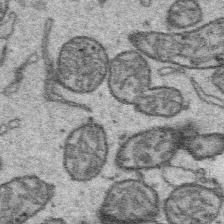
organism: Platynereis dumerilii